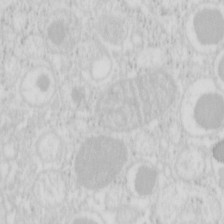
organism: Mouse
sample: Pancreas